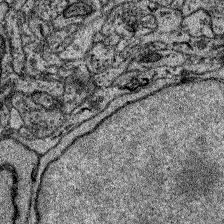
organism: Zebrafish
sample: Larval olfactory bulb